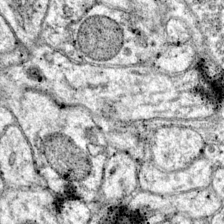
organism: Mouse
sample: Primary visual cortex